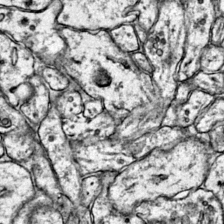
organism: Mouse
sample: Primary visual cortex